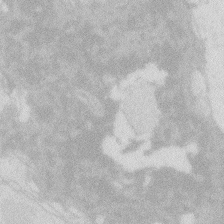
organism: Zebrafish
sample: Macrophage